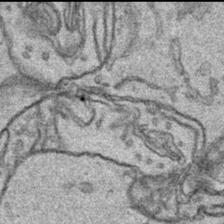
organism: Human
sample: Mitochondria in HCT116 cells